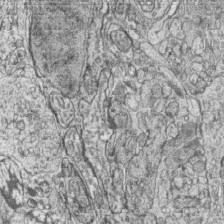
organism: Zebrafish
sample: synaptic ribbons in rod cells and cone cells